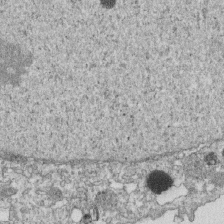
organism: Human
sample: HeLa cell HIV synapse